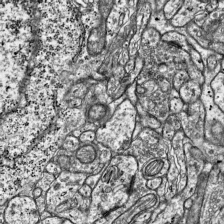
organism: Mouse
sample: Visual Cortex